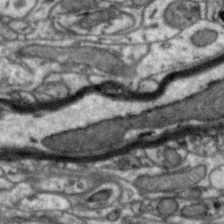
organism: Zebra finch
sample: Brain